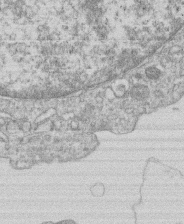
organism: Human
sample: Macrophage cells